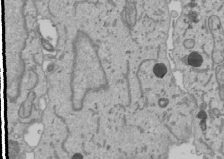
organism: Human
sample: Mitochondria in U2OS cells